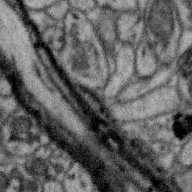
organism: Zebra finch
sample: Brain